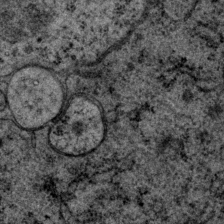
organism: P. pacificus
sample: Pharynx